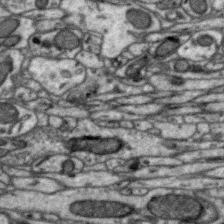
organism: Zebra finch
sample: Brain